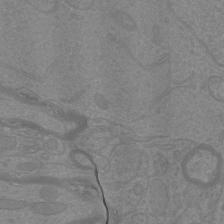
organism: Mouse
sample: Cortical neurons